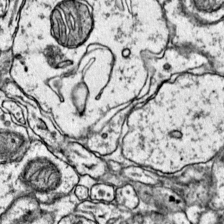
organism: Mouse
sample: Primary visual cortex